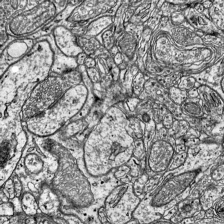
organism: Mouse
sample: Visual Cortex